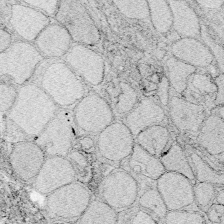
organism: Zebrafish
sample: Whole-Brain